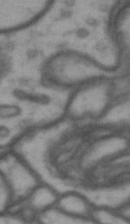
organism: Drosophila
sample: Brain